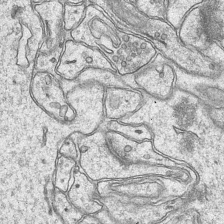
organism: Mouse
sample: CA1 Hippocampus